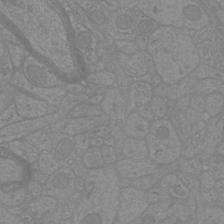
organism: Mouse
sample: Cortical neurons